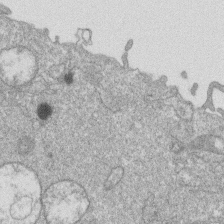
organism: Human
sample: HeLa cell HIV synapse